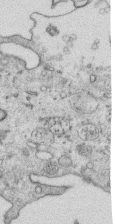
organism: Human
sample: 1205lu cells